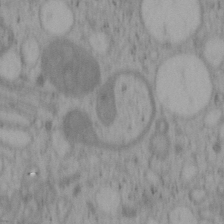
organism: Mouse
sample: OT-I killer T cells with ID8 ovarian cancer cells